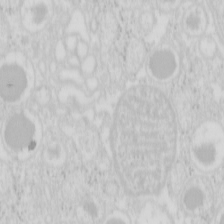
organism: Mouse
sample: Pancreas